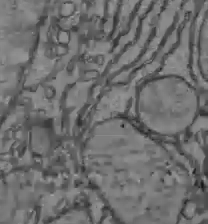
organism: C57BL Mouse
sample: Liver